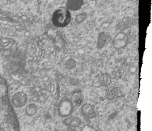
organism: Human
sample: MDA-MB-231 cells